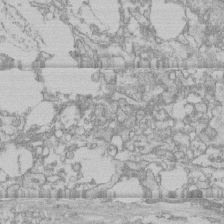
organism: Human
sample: CRL-1474